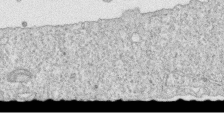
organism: Human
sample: HeLa cell HIV synapse